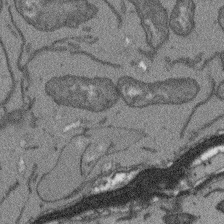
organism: Arabidopsis thaliana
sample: Root tip